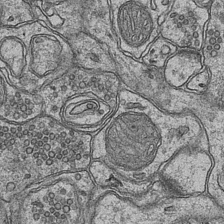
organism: Mouse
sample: CA1 Hippocampus